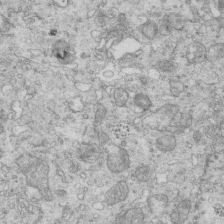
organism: Mouse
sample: Multiciliated cells